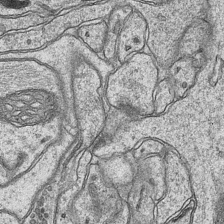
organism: Mouse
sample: CA1 Hippocampus